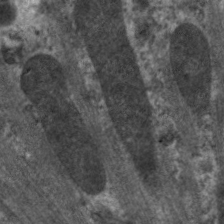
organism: C. elegans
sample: Pharynx